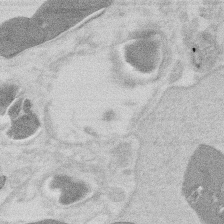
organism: Mouse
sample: T cell stromal cell synapse